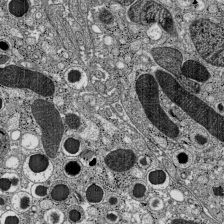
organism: C57BL Mouse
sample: Pancreatic islet